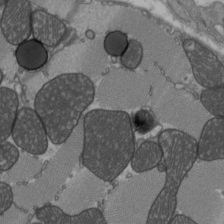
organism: C57BL Mouse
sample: Heart